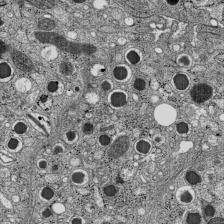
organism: C57BL Mouse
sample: Pancreatic islet